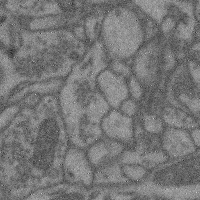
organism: Mouse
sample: Cerebral cortex